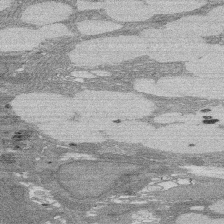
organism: Rat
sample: Salivary granule